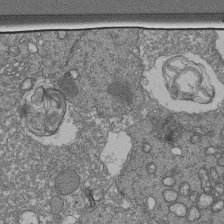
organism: Human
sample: Retinal organoid Rod and Cone cells